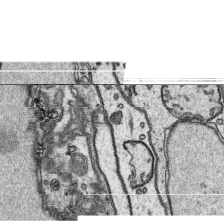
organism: Platynereis dumerilii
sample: Parapodia